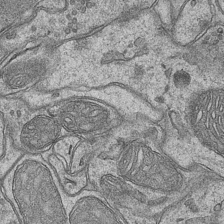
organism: Mouse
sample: CA1 Hippocampus